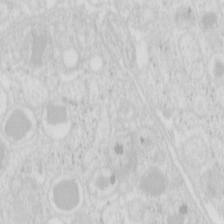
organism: Mouse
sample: Pancreas